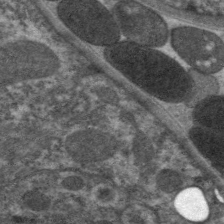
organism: C. elegans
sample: Pharynx